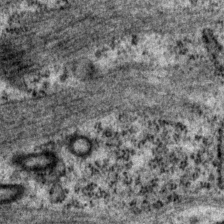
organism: P. pacificus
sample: Pharynx